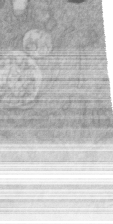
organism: Mouse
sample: ED-1 cell nuclei; centrioles